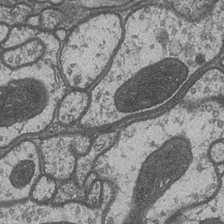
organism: Drosophila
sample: Optic medulla